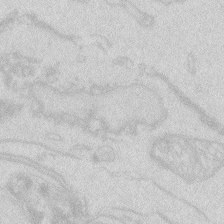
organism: Zebrafish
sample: Macrophage